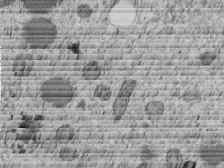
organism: C. elegans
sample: C. elegans embryo early stage